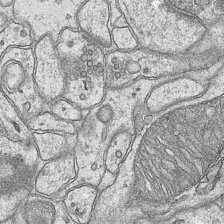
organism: Mouse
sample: CA1 Hippocampus